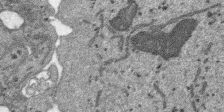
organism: Human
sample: Lung epithelial cells infected with SARS-CoV-2